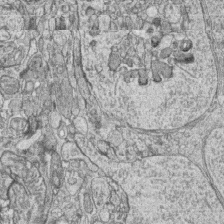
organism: Zebrafish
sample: synaptic ribbons in rod cells and cone cells